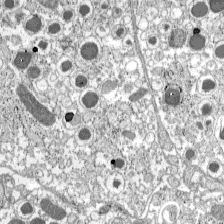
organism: C57BL Mouse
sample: Pancreatic islet